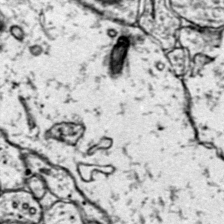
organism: Mouse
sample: Primary visual cortex